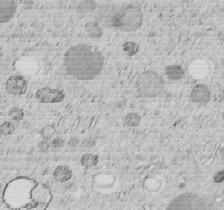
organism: C. elegans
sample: C. elegans embryo early stage